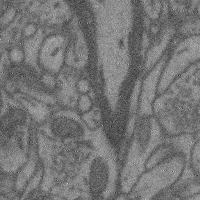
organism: Mouse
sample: Cerebral cortex